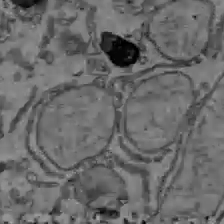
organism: C57BL Mouse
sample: Liver